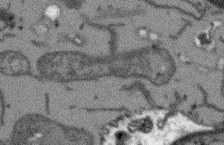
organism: Arabidopsis thaliana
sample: Root tip